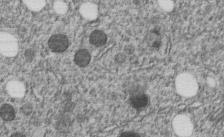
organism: C. elegans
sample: C. elegans embryo early stage